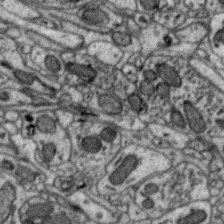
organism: Zebra finch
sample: Brain